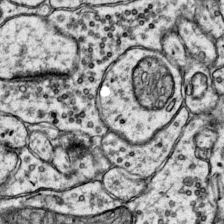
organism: Mouse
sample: Primary visual cortex